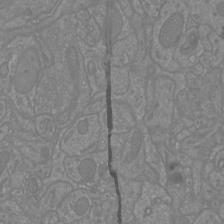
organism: Mouse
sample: Cortical neurons